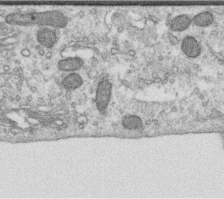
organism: Human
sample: Centriole in RPE cells